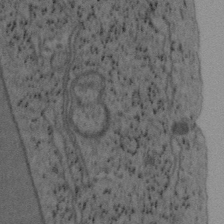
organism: Human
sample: HeLa cells